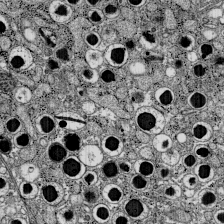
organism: C57BL Mouse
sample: Pancreatic islet